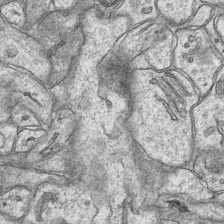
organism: Mouse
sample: CA1 Hippocampus